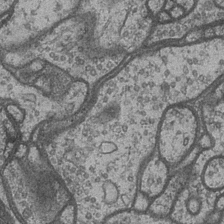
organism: Drosophila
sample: Optic medulla